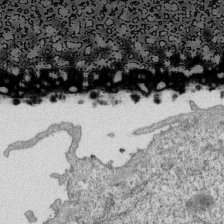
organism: Human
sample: HeLa cell HIV synapse